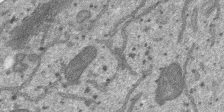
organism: Human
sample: Lung epithelial cells infected with SARS-CoV-2